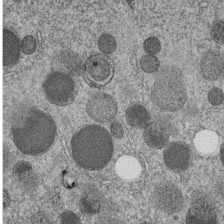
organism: C. elegans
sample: C. elegans embryo early stage